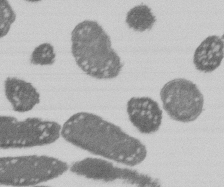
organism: E. coli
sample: Bacterial nucleoid